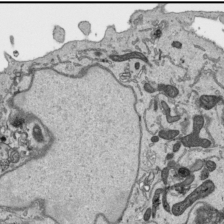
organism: Human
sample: Mitochondria in HCT116 cells